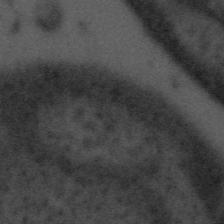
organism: Tuwongella immobilis